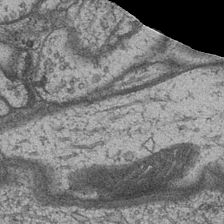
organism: Drosophila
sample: Optic medulla